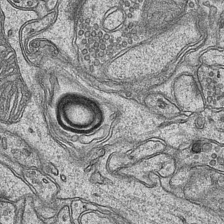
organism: Mouse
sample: CA1 Hippocampus